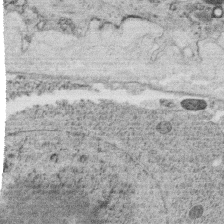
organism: C. elegans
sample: C. elegans oocyte; sperm cells